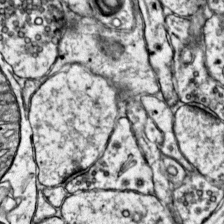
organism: Mouse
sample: Primary visual cortex